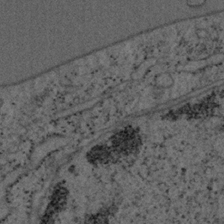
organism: Human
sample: HeLa cells